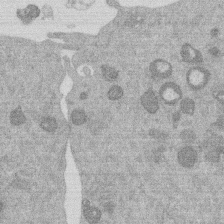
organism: Mouse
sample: Dividing mouse embryo 1 cell stage